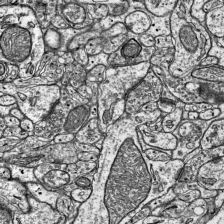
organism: Mouse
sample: Visual Cortex